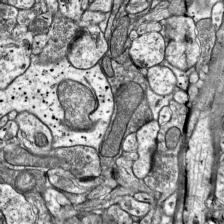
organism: Mouse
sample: Visual Cortex